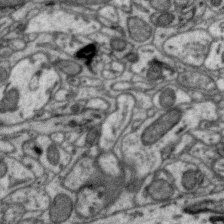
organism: Zebra finch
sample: Brain